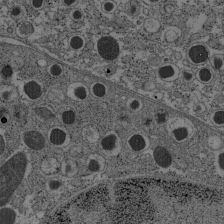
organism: C57BL Mouse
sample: Pancreatic islet